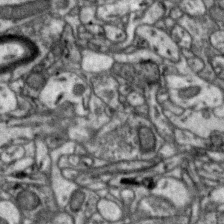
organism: Zebra finch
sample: Brain